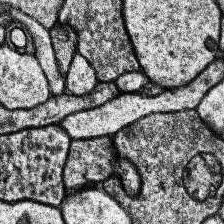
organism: Human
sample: Temporal Lobe